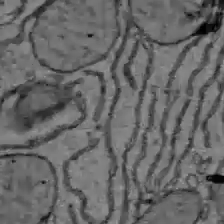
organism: C57BL Mouse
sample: Liver